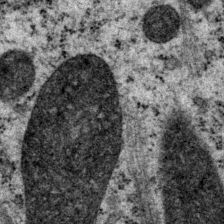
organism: P. pacificus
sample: Pharynx